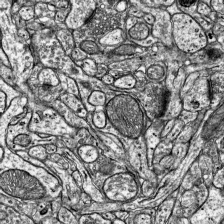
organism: Mouse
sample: Visual Cortex